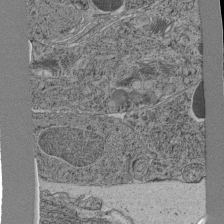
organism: C. elegans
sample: C. elegans pharynx